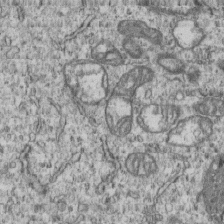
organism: Human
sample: MDA-MB-231 cells